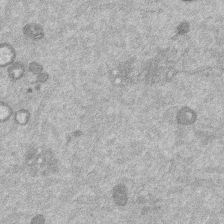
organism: Mouse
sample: Dividing mouse embryo 1 cell stage